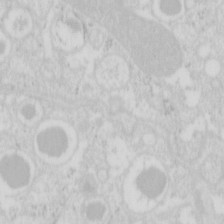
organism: Mouse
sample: Pancreas